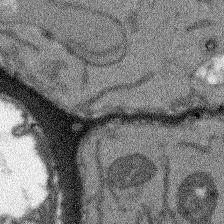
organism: Arabidopsis thaliana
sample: Root tip